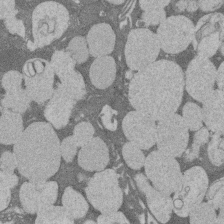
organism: Rat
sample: Salivary granule